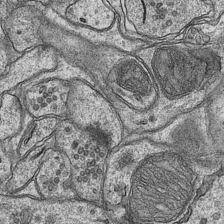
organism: Mouse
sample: CA1 Hippocampus